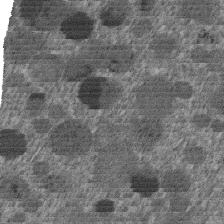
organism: C. elegans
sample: C. elegans embryo early stage